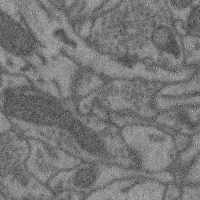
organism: Mouse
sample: Cerebral cortex